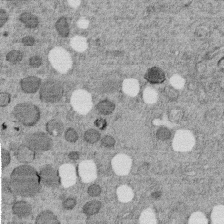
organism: C. elegans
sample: C. elegans embryo early stage